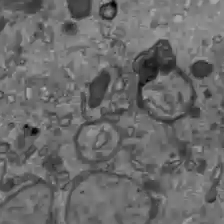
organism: C57BL Mouse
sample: Liver